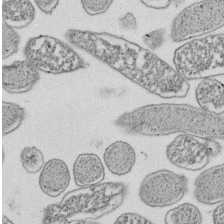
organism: E. coli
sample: Bacterial nucleoid